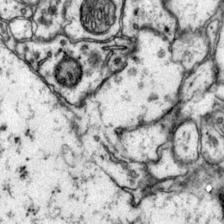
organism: Mouse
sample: Primary visual cortex